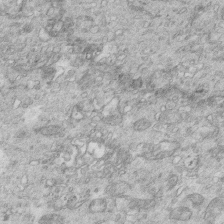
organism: Mouse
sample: Multiciliated cells